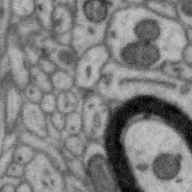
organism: Zebra finch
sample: Brain